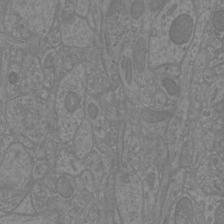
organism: Mouse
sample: Cortical neurons